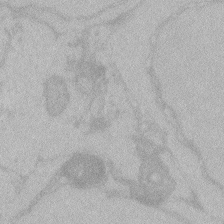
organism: Zebrafish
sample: Macrophage infected with Toxoplasma gondii